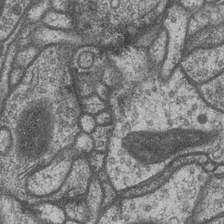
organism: Drosophila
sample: Optic medulla